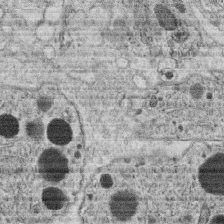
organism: C. elegans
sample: C. elegans oocyte; sperm cells